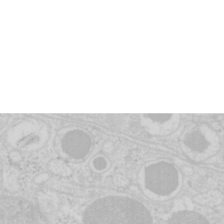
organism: Mouse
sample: Pancreas